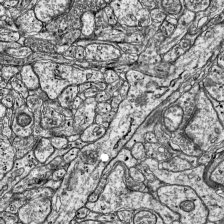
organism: Mouse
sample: Visual Cortex